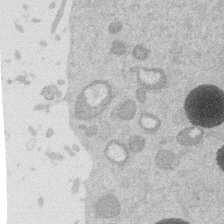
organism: Mouse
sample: Dividing mouse embryo 1 cell stage